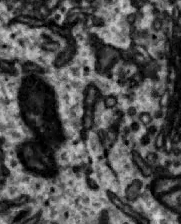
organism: Human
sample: HeLa cells